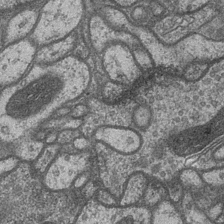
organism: Drosophila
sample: Optic medulla